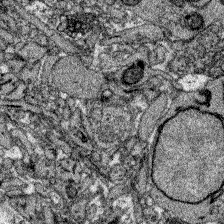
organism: Zebrafish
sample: Larval olfactory bulb